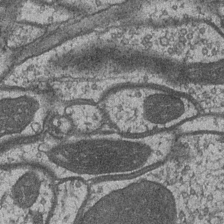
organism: Drosophila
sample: Optic medulla